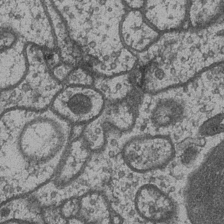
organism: Drosophila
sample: Optic medulla